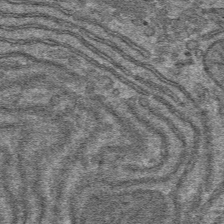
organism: Mouse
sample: Mouse hepatocytes